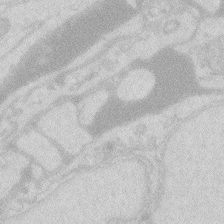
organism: Zebrafish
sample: Macrophage